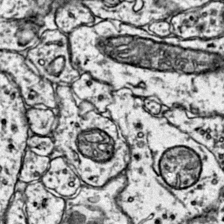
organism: Mouse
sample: Primary visual cortex